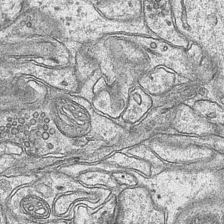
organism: Mouse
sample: CA1 Hippocampus